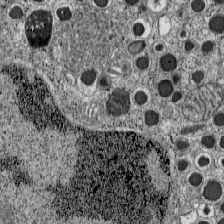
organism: C57BL Mouse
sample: Pancreatic islet